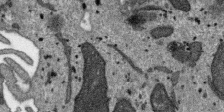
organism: Human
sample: Lung epithelial cells, uninfected (mock) control